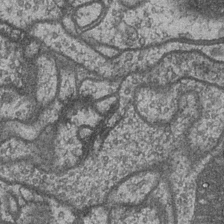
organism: Drosophila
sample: Optic medulla